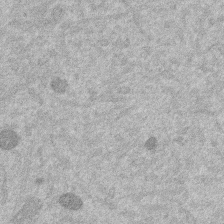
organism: Mouse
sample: Dividing mouse embryo 1 cell stage